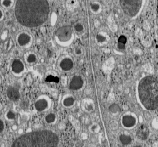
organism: C57BL Mouse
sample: Pancreatic islet